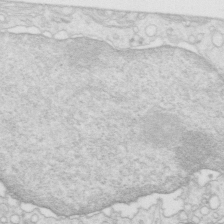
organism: Mouse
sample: Multiciliated cells